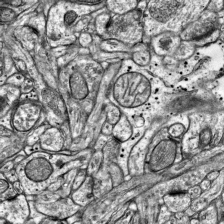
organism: Mouse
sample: Visual Cortex